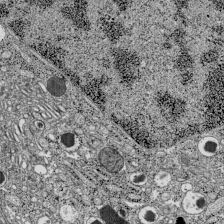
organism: C57BL Mouse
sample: Pancreatic islet